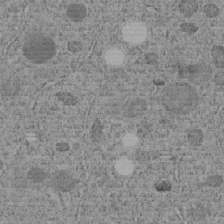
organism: C. elegans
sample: C. elegans embryo early stage